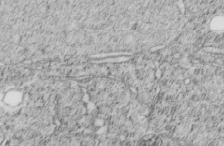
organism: C. elegans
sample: C. elegans embryo early stage